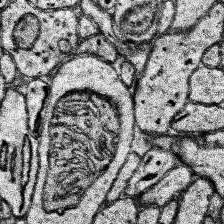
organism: Human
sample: Temporal Lobe